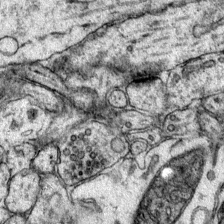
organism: Mouse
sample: Primary visual cortex